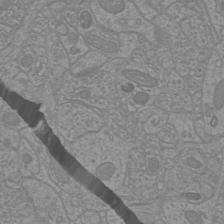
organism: Mouse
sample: Cortical neurons